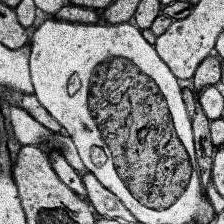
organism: Human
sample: Temporal Lobe